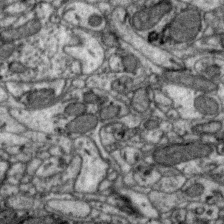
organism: Zebra finch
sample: Brain